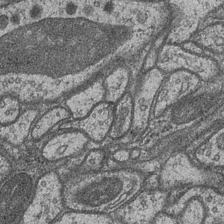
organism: Drosophila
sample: Optic medulla